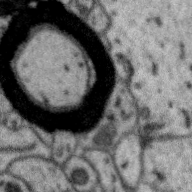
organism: Zebra finch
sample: Brain